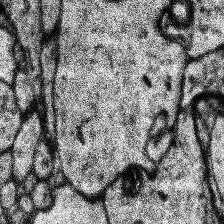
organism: Human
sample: Temporal Lobe